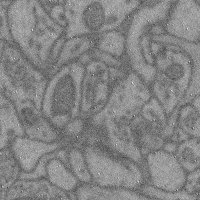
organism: Mouse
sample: Cerebral cortex